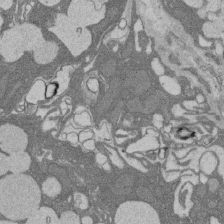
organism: Rat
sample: Salivary granule